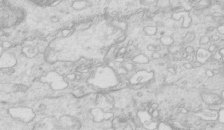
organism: Mouse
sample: Multiciliated cells